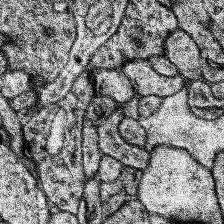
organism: Human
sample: Temporal Lobe